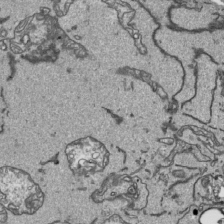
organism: Human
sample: Mitochondria in HCT116 cells